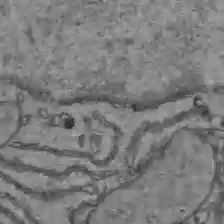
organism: C57BL Mouse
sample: Liver